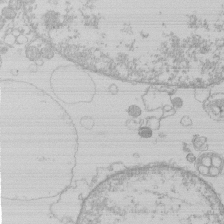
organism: Human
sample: Macrophage cells